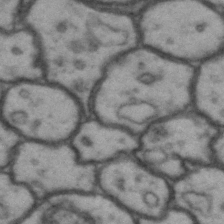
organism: Drosophila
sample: Brain